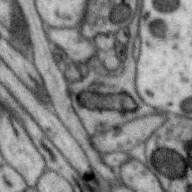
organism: Zebra finch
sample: Brain